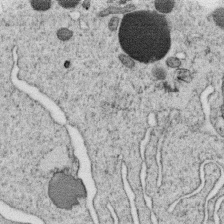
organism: C. elegans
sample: C. elegans oocyte; sperm cells